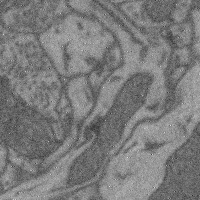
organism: Mouse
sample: Cerebral cortex